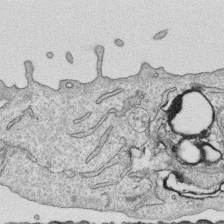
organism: Human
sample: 1205lu cells